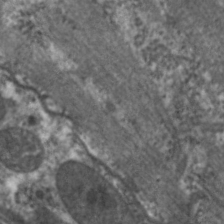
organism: C. elegans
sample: Pharynx